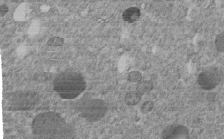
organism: C. elegans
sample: C. elegans embryo early stage